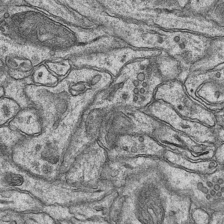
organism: Mouse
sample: CA1 Hippocampus